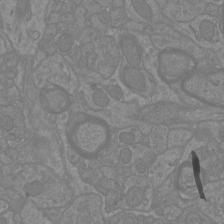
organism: Mouse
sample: Cortical neurons